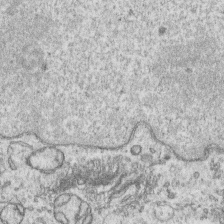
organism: Human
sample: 1205lu cells